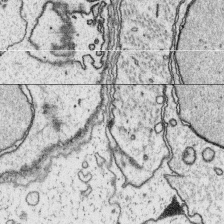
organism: Platynereis dumerilii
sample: Parapodia